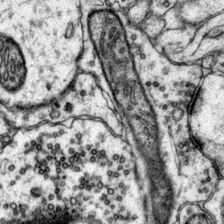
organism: Mouse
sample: Primary visual cortex